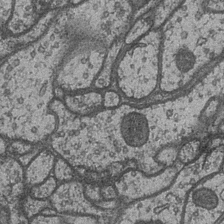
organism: Drosophila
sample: Optic medulla